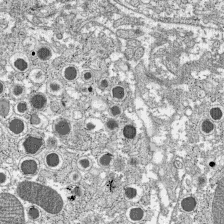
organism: C57BL Mouse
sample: Pancreatic islet